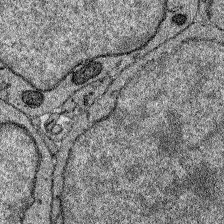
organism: Zebrafish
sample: Larval olfactory bulb